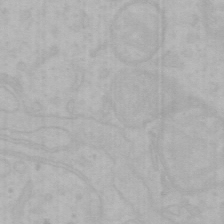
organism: Mouse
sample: Choroid plexus